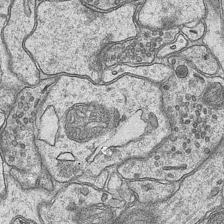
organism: Mouse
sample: CA1 Hippocampus